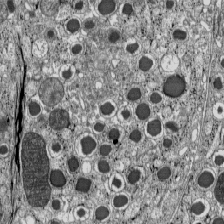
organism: C57BL Mouse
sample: Pancreatic islet